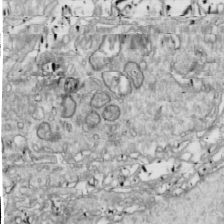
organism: Drosophila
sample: Cell division; meiosis; drosophila spermatocytes